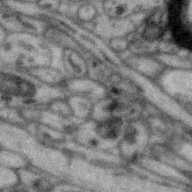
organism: Zebra finch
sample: Brain